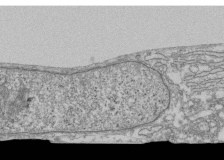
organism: Human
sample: Fibroblast cells